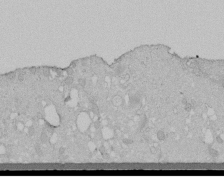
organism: Human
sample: Melanocyte Keratinocyte synapse skin construct